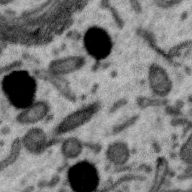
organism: Zebra finch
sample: Brain